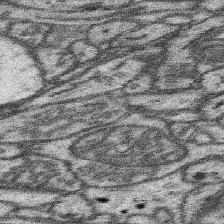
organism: Mouse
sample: Somatosensory cortex neuropil